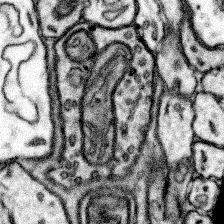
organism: Mouse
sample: Somatosensory cortex neuropil